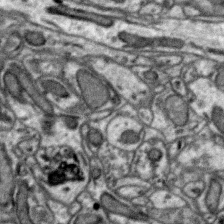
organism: Zebra finch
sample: Brain